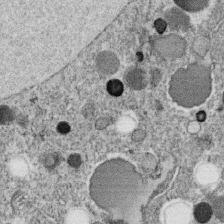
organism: C. elegans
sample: C. elegans oocyte; sperm cells